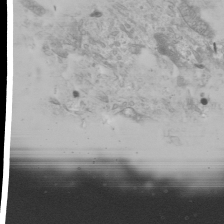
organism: Mouse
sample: Cilia; mouse epididymis